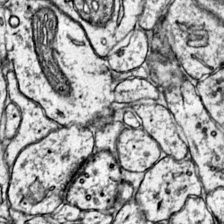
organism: Mouse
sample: Primary visual cortex